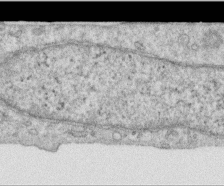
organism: Human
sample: Centriole in RPE cells